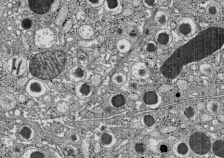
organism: C57BL Mouse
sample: Pancreatic islet